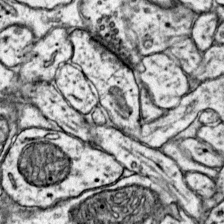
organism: Mouse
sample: Primary visual cortex